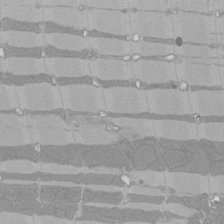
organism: Rat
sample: Left ventricle